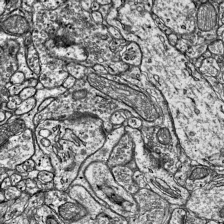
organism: Mouse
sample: Visual Cortex